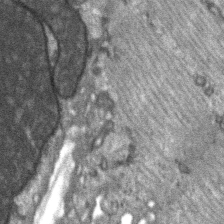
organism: C57BL Mouse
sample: Soleus